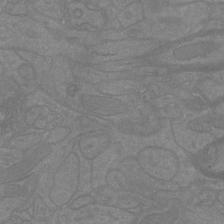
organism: Mouse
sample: Cortical neurons